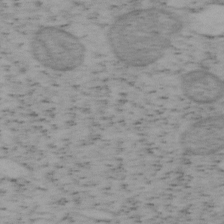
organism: Mouse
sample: OT-I killer T cells with ID8 ovarian cancer cells